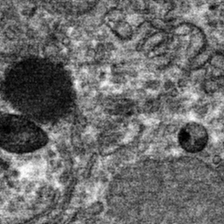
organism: Mouse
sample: Mouse hepatocytes